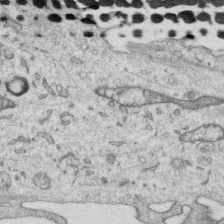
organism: Human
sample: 1205lu cells